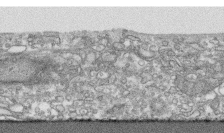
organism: Human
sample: CRL-1474